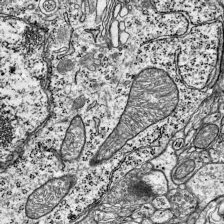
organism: Mouse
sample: Visual Cortex